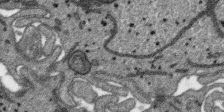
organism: Human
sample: Lung epithelial cells, uninfected (mock) control